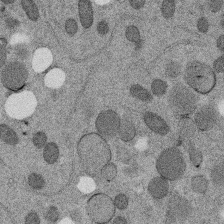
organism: C. elegans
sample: C. elegans embryo early stage